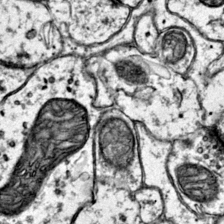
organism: Mouse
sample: Primary visual cortex